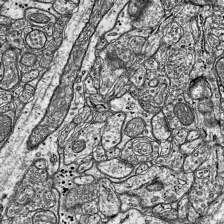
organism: Mouse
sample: Visual Cortex